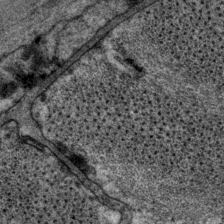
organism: P. pacificus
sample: Pharynx